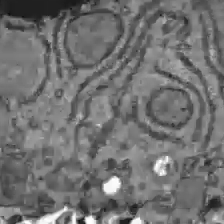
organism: C57BL Mouse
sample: Liver